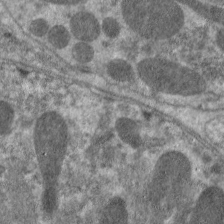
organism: C. elegans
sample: Pharynx